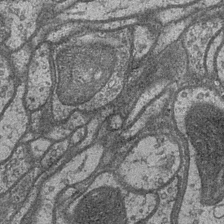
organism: Drosophila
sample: Optic medulla